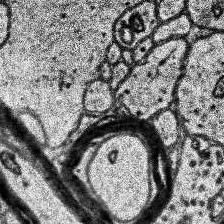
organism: Human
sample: Temporal Lobe